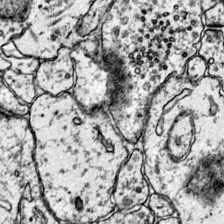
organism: Mouse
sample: Primary visual cortex